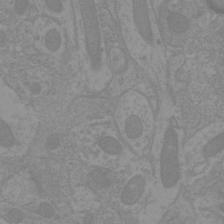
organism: Mouse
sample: Cortical neurons